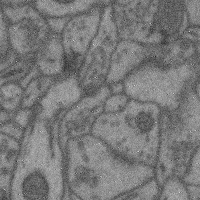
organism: Mouse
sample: Cerebral cortex